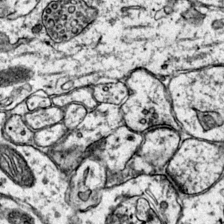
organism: Mouse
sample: Primary visual cortex